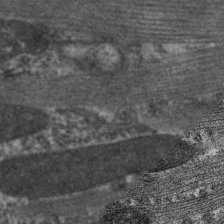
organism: C. elegans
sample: Pharynx